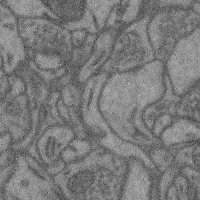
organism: Mouse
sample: Cerebral cortex